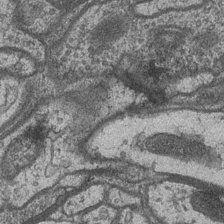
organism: Drosophila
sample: Optic medulla